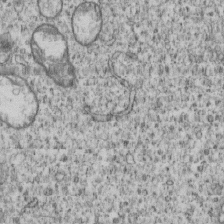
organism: Human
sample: MDA-MB-231 cells